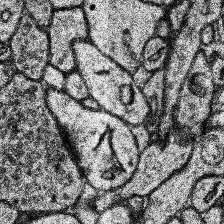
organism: Human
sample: Temporal Lobe